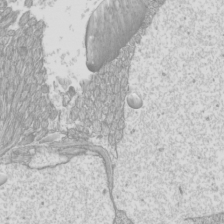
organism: Mouse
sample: Cilia; mouse epididymis